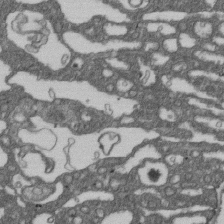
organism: Drosophila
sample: Nephrocyte